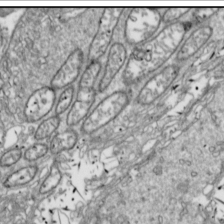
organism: Drosophila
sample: Cell division; meiosis; drosophila spermatocytes